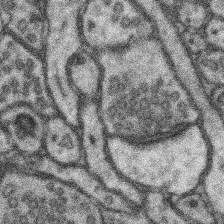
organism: Mouse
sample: Somatosensory cortex neuropil